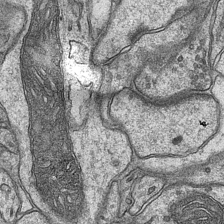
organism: Mouse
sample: CA1 Hippocampus